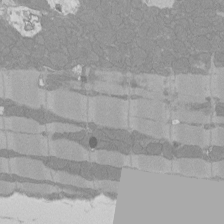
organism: Rat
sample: Left ventricle